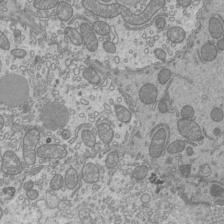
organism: Mouse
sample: Cilia; mouse epididymis